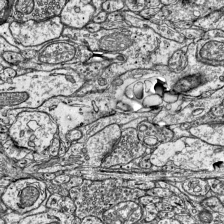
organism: Mouse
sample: Visual Cortex